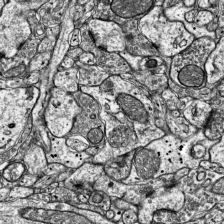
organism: Mouse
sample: Visual Cortex